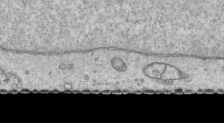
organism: Human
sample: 1205lu cells